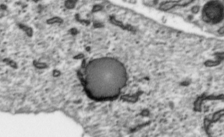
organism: Toxoplasma gondii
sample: Parasites in a vacuole inside a host cell